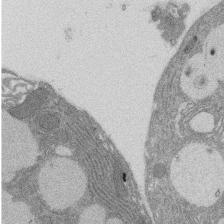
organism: Rat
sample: Salivary granule